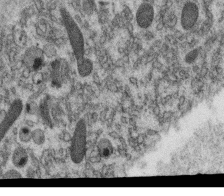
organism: C. elegans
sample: C. elegans oocyte; sperm cells